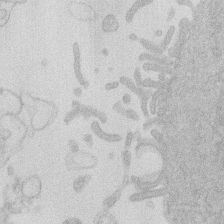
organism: Human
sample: Macrophage cells